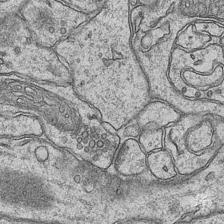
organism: Mouse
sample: CA1 Hippocampus